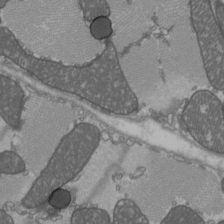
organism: C57BL Mouse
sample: Heart